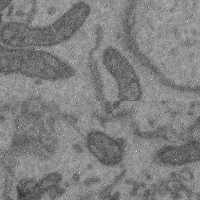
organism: Mouse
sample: Cerebral cortex